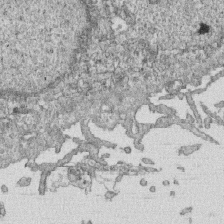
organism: Human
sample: HeLa cell HIV synapse